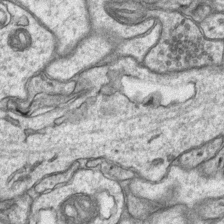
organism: Mouse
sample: CA1 Hippocampus